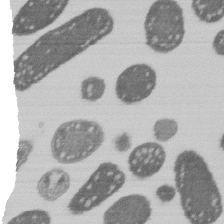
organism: E. coli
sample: Bacterial nucleoid